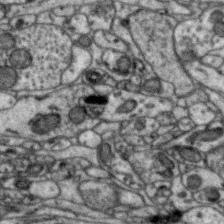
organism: Zebra finch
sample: Brain